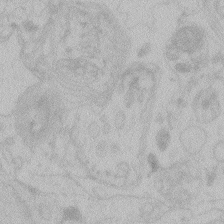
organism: Zebrafish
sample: Macrophage infected with Toxoplasma gondii